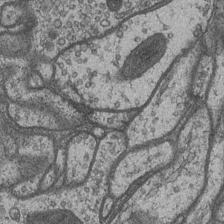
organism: Drosophila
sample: Optic medulla